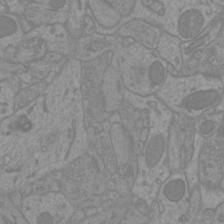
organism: Mouse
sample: Cortical neurons